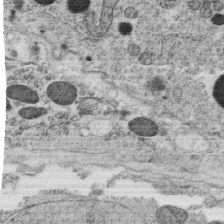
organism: C. elegans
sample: C. elegans oocyte; sperm cells